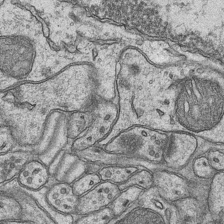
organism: Mouse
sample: CA1 Hippocampus